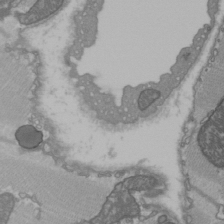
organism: C57BL Mouse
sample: Heart